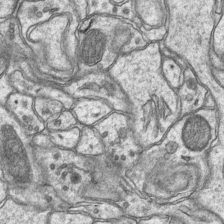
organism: Mouse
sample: CA1 Hippocampus